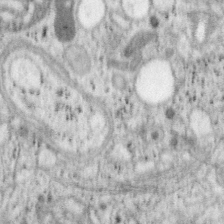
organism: Mouse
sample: OT-I killer T cells with ID8 ovarian cancer cells